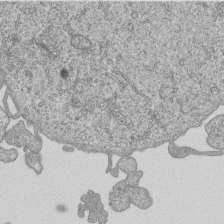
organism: Human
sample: MDA-MB-231 cells